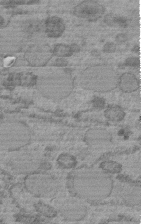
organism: C. elegans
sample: C. elegans embryo early stage